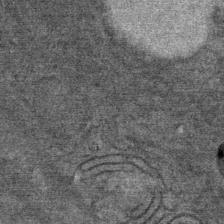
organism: Mouse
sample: Mouse Salivary gland